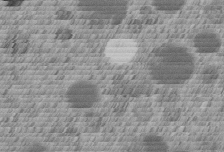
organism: C. elegans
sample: C. elegans embryo early stage